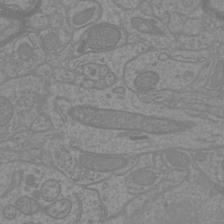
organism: Mouse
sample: Cortical neurons